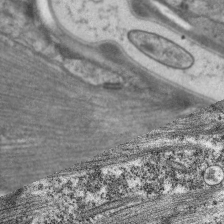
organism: C. elegans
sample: Pharynx